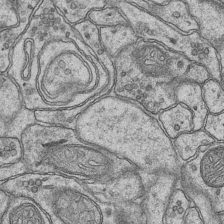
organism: Mouse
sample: CA1 Hippocampus